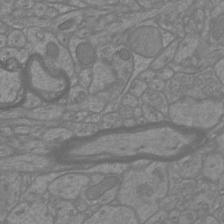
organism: Mouse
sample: Cortical neurons